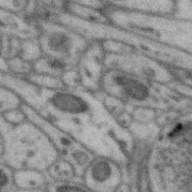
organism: Zebra finch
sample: Brain